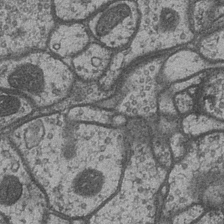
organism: Drosophila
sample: Optic medulla